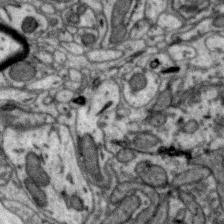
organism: Zebra finch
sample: Brain